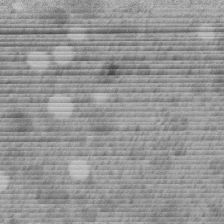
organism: C. elegans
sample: C. elegans embryo early stage